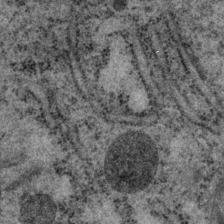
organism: P. pacificus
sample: Pharynx